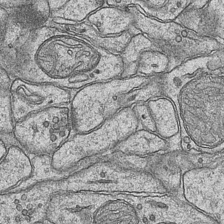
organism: Mouse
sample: CA1 Hippocampus